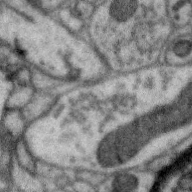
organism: Zebra finch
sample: Brain